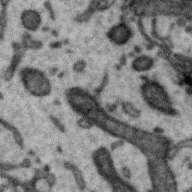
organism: Zebra finch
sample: Brain